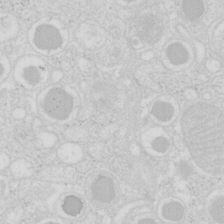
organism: Mouse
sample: Pancreas